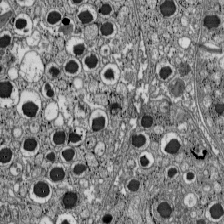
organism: C57BL Mouse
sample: Pancreatic islet